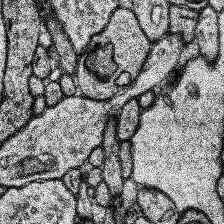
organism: Human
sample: Temporal Lobe